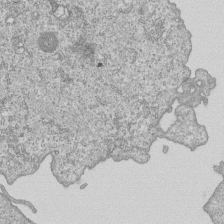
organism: Human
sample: MDA-MB-231 cells